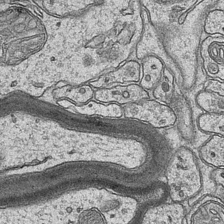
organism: Mouse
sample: CA1 Hippocampus